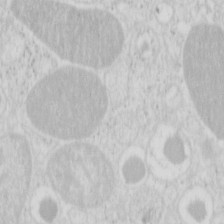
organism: Mouse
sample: Pancreas